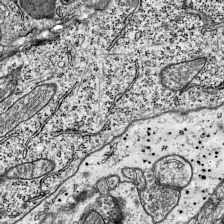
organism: Mouse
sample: Visual Cortex